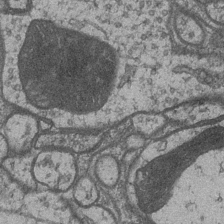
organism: Drosophila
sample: Optic medulla